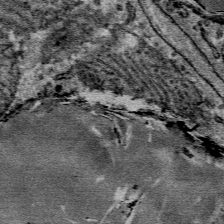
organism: Mouse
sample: Mouse Salivary gland